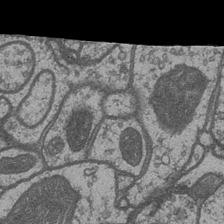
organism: Drosophila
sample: Optic medulla